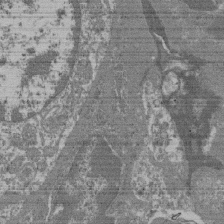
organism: Mouse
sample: Glomerulus